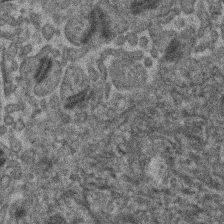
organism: Human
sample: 1205lu cells